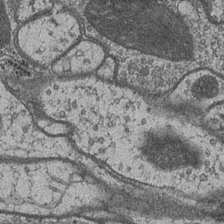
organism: Drosophila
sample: Optic medulla